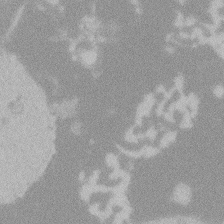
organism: Zebrafish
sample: Macrophage infected with Toxoplasma gondii